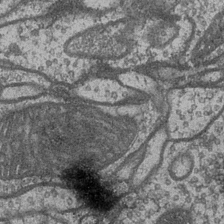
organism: Drosophila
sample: Optic medulla